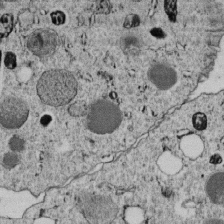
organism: C. elegans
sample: C. elegans embryo early stage